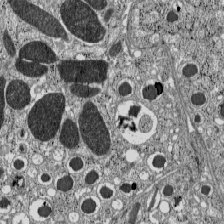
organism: C57BL Mouse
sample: Pancreatic islet